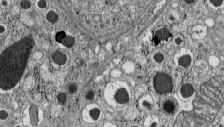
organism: C57BL Mouse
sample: Pancreatic islet